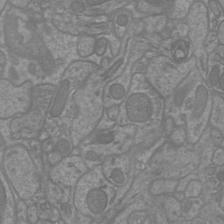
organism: Mouse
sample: Cortical neurons